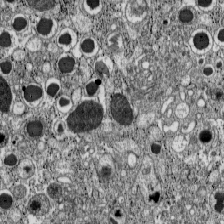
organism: C57BL Mouse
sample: Pancreatic islet